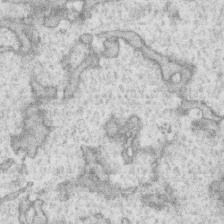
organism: Human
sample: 1205lu cells